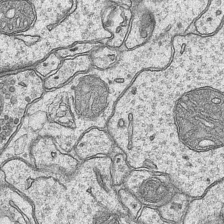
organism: Mouse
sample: CA1 Hippocampus